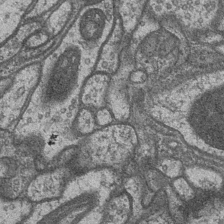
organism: Drosophila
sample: Optic medulla